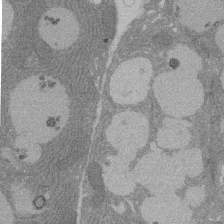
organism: Rat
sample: Salivary granule